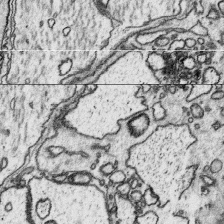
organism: Platynereis dumerilii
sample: Parapodia